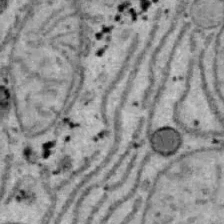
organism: Mouse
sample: Liver from an obese (ob/ob) mouse